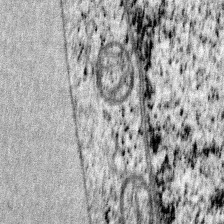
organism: Human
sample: HeLa cells